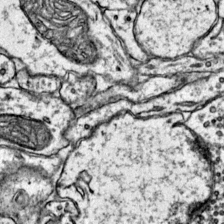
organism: Mouse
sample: Primary visual cortex